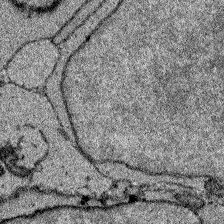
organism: Zebrafish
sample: Larval olfactory bulb